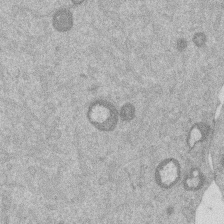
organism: Mouse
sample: Dividing mouse embryo 1 cell stage